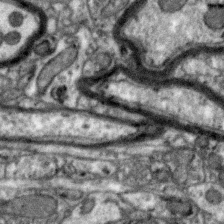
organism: Zebra finch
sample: Brain